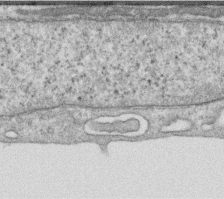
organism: Human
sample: Centriole in RPE cells